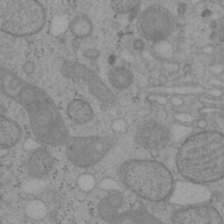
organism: Mouse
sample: OT-I killer T cells with ID8 ovarian cancer cells